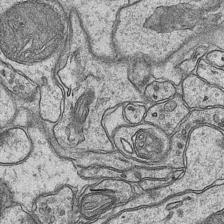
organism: Mouse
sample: CA1 Hippocampus